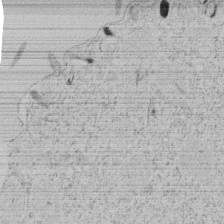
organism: Tetrahymena